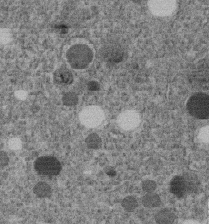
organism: C. elegans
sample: C. elegans embryo early stage